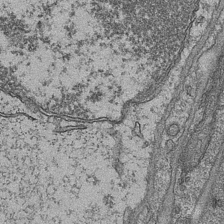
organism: Mouse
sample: CA1 Hippocampus